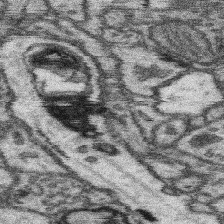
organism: Mouse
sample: Somatosensory cortex neuropil